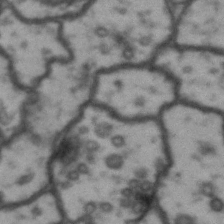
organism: Drosophila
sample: Brain